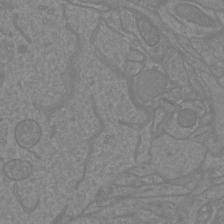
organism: Mouse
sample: Cortical neurons